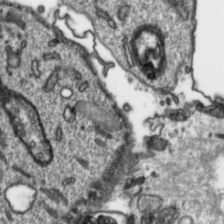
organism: Toxoplasma gondii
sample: Parasites in a vacuole inside a host cell